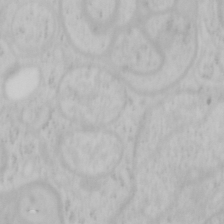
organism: Mouse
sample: OT-I killer T cells with ID8 ovarian cancer cells